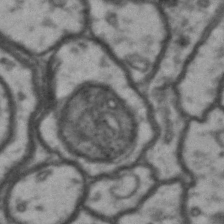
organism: Drosophila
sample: Brain